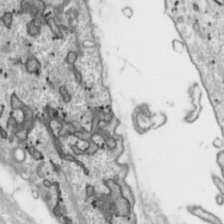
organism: Toxoplasma gondii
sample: Parasites in a vacuole inside a host cell